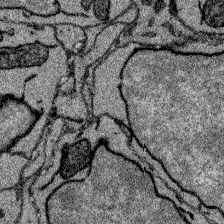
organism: Zebrafish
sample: Larval olfactory bulb